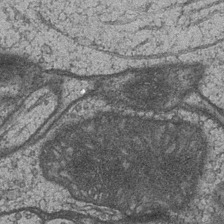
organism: Drosophila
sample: Optic medulla